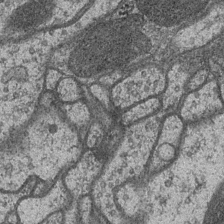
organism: Drosophila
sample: Optic medulla